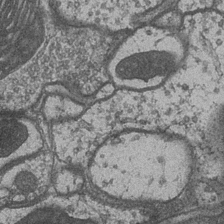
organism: Drosophila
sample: Optic medulla